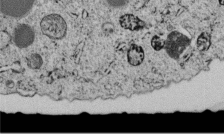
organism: C. elegans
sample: C. elegans embryo early stage